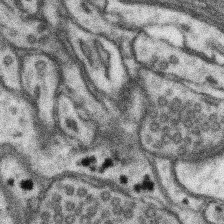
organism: Mouse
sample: Somatosensory cortex neuropil